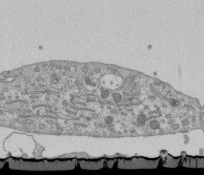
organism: Mouse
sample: ED-1 cell nuclei; centrioles